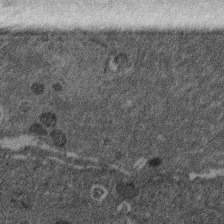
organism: Mouse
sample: Dividing mouse embryo 1 cell stage